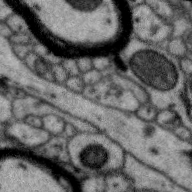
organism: Zebra finch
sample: Brain